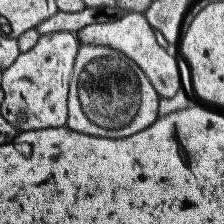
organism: Human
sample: Temporal Lobe